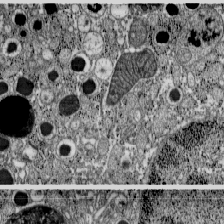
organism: C57BL Mouse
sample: Pancreatic islet